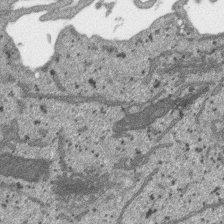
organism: Human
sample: Lung epithelial cells infected with SARS-CoV-2